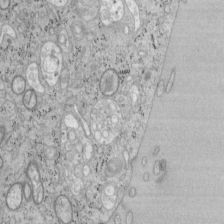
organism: Mouse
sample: OT-I killer T cells with ID8 ovarian cancer cells